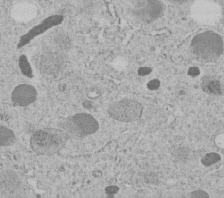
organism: C. elegans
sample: C. elegans embryo early stage